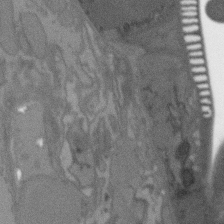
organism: C. elegans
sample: AFD neurons C. elegans